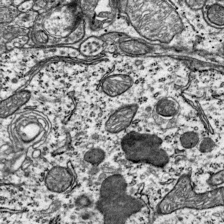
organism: Mouse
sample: Visual Cortex